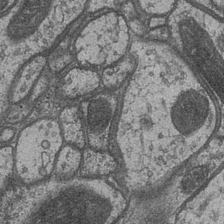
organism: Drosophila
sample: Optic medulla